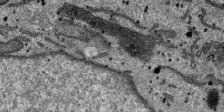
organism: Human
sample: Lung epithelial cells, uninfected (mock) control